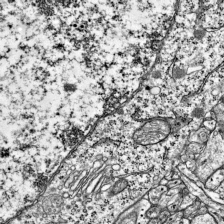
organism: Mouse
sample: Visual Cortex